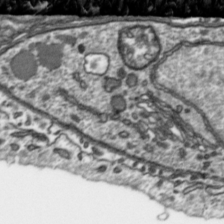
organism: Toxoplasma gondii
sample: Parasites in a vacuole inside a host cell